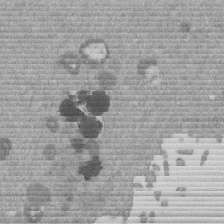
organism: Mouse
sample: Dividing mouse embryo 1 cell stage